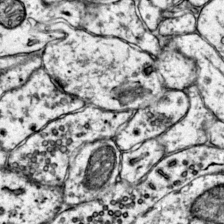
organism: Mouse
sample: Primary visual cortex